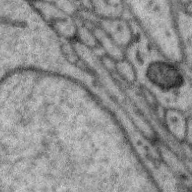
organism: Zebra finch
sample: Brain